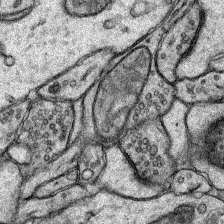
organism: Rat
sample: Hippocampus